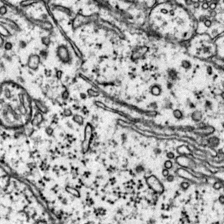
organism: Mouse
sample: Primary visual cortex